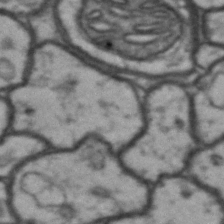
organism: Drosophila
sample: Brain